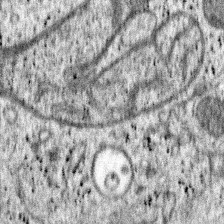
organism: Human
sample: HeLa cells